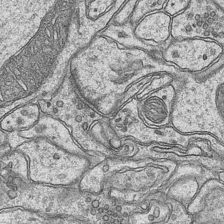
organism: Mouse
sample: CA1 Hippocampus